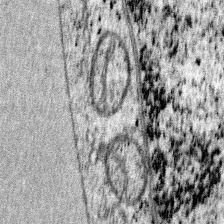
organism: Human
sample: HeLa cells